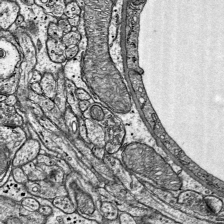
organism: Mouse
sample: Visual Cortex